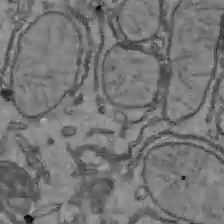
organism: C57BL Mouse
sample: Liver